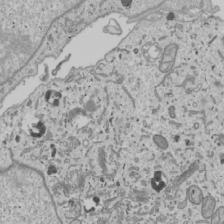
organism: Human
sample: Mitochondria in U2OS cells